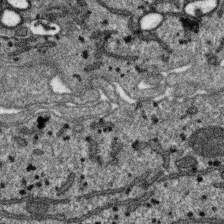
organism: Human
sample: Lung epithelial cells infected with SARS-CoV-2